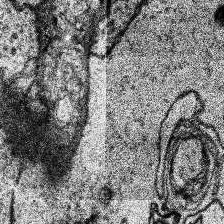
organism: Human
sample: Temporal Lobe